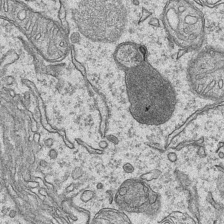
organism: Mouse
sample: CA1 Hippocampus